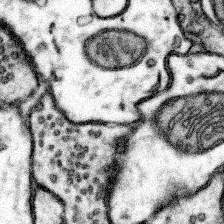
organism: Mouse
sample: Somatosensory cortex neuropil